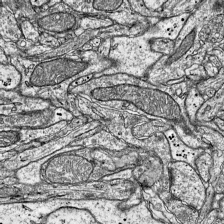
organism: Mouse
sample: Visual Cortex